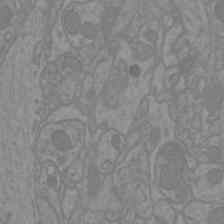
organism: Mouse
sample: Cortical neurons